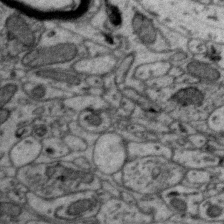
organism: Zebra finch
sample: Brain